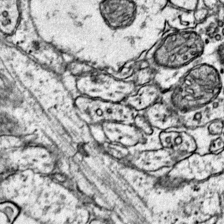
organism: Mouse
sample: Primary visual cortex